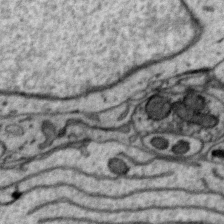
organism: Zebra finch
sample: Brain